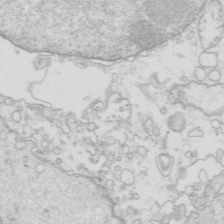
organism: Mouse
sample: Multiciliated cells